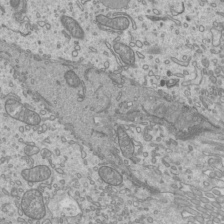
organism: Mouse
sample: Cilia; mouse epididymis